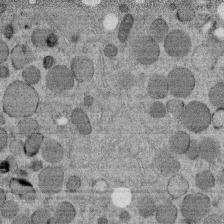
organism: C. elegans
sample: C. elegans embryo early stage